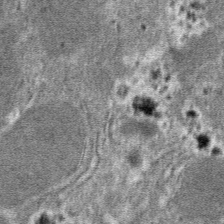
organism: Mouse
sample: Mouse hepatocytes